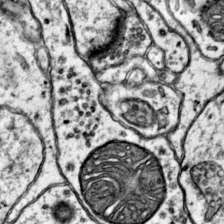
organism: Mouse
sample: Primary visual cortex